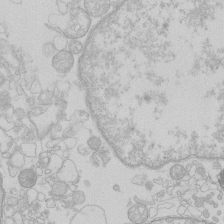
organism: Human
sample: Macrophage cells